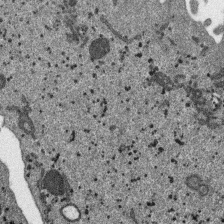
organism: Human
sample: Lung epithelial cells infected with SARS-CoV-2